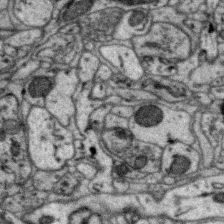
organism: Zebra finch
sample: Brain